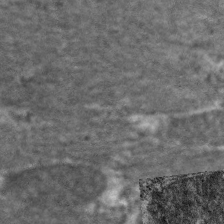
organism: C. elegans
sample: Pharynx